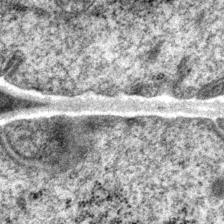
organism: P. pacificus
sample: Pharynx